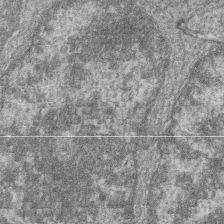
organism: Zebrafish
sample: Cilia; retinal pigment epithelium